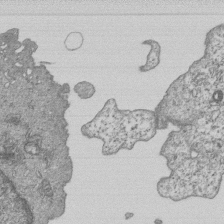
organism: Human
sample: MDA-MB-231 cells